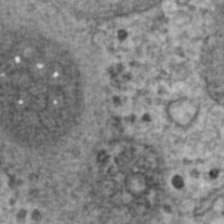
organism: Human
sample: Blood